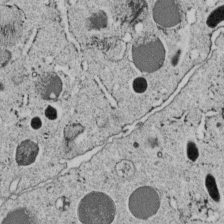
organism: C. elegans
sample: C. elegans embryo early stage